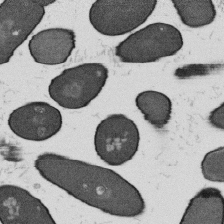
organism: B. subtilis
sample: Bacterial spore